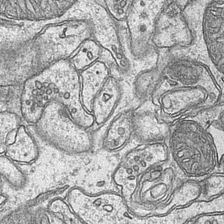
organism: Mouse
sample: CA1 Hippocampus